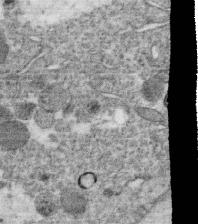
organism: C. elegans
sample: C. elegans oocyte; sperm cells